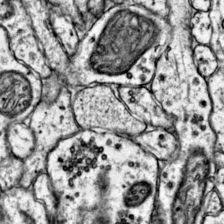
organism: Mouse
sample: Primary visual cortex